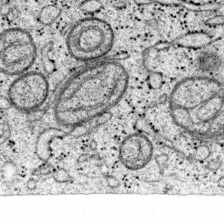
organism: Human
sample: HeLa cells